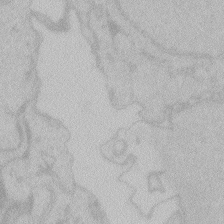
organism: Zebrafish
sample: Macrophage infected with Toxoplasma gondii